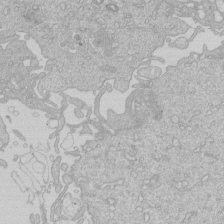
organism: Human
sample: Macrophage cells